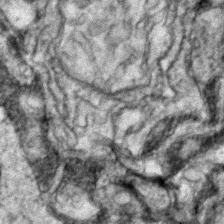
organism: Zebrafish